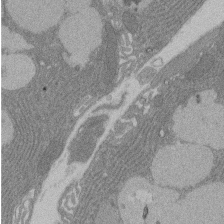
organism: Rat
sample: Salivary granule